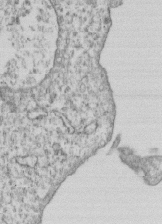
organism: Human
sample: MDA-MB-231 cells